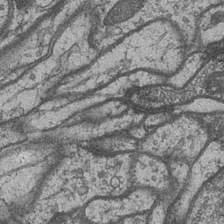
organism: Drosophila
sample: Optic medulla